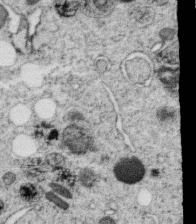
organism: C. elegans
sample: C. elegans oocyte; sperm cells